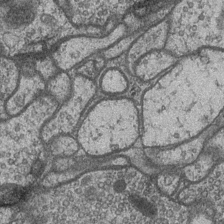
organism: Drosophila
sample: Optic medulla